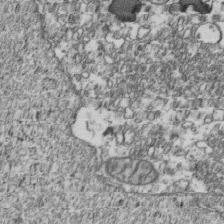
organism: Human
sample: Activated Jurkat CD4+ T cells